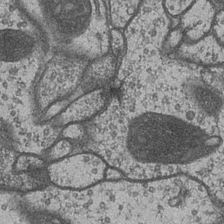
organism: Drosophila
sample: Optic medulla